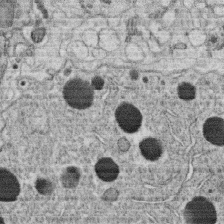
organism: C. elegans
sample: C. elegans oocyte; sperm cells